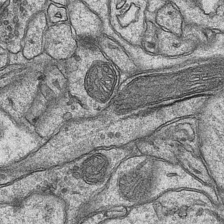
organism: Mouse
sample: CA1 Hippocampus